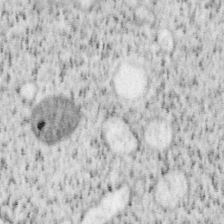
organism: Mouse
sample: OT-I killer T cells with ID8 ovarian cancer cells